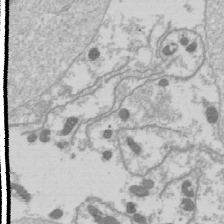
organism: Drosophila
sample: Cell division; meiosis; drosophila spermatocytes